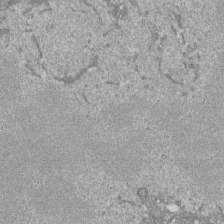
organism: Mouse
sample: ED-1 cell nuclei; centrioles